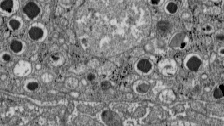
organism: C57BL Mouse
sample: Pancreatic islet